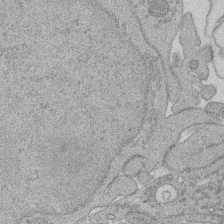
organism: Rat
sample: Salivary granule